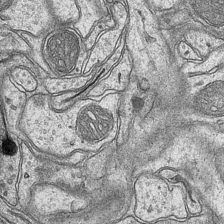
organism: Mouse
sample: CA1 Hippocampus